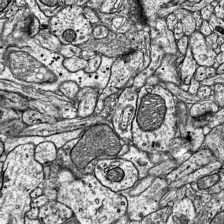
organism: Mouse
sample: Visual Cortex